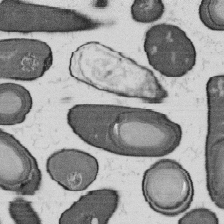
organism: B. subtilis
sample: Bacterial spore